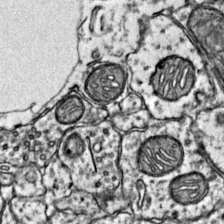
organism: Mouse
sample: Primary visual cortex